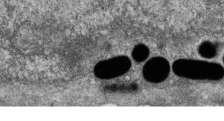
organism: Zebrafish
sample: Cilia; retinal pigment epithelium